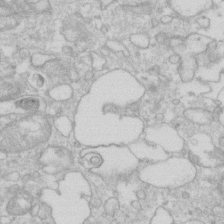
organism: Human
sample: Fibroblast cells